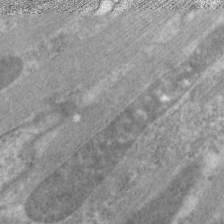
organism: C. elegans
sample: Pharynx